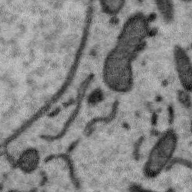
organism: Zebra finch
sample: Brain